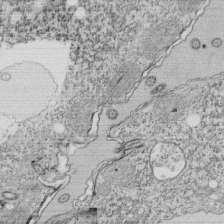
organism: Tetrahymena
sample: Cilia in tetrahymena